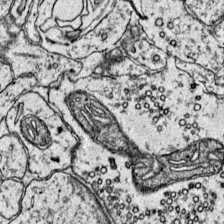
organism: Mouse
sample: Primary visual cortex